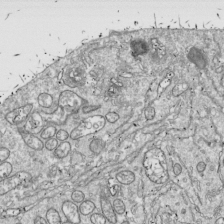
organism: Drosophila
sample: Cell division; meiosis; drosophila spermatocytes